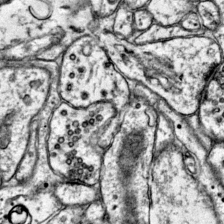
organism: Mouse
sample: Primary visual cortex